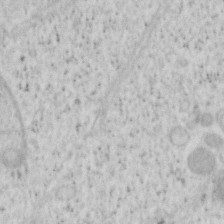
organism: Human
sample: HeLa cells